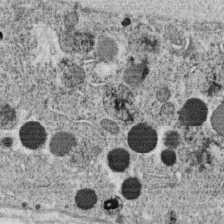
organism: C. elegans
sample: C. elegans oocyte; sperm cells